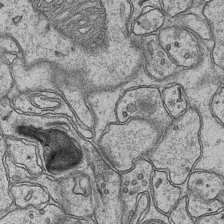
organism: Mouse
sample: CA1 Hippocampus